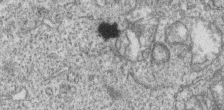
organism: Human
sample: HeLa cell HIV synapse